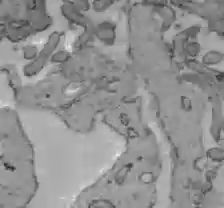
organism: C57BL Mouse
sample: Liver